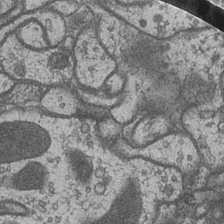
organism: Drosophila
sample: Optic medulla